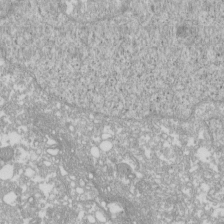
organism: Xenopus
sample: Cilia; centrioles in frog embryo cells